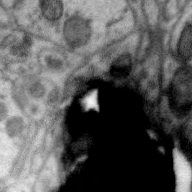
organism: Zebra finch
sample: Brain